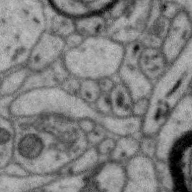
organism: Zebra finch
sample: Brain